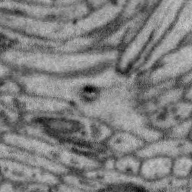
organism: Zebra finch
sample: Brain